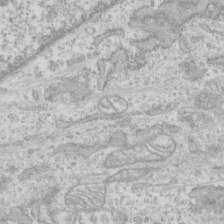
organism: Human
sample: CRL-1474